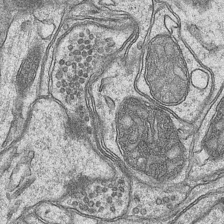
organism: Mouse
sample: CA1 Hippocampus